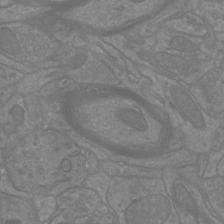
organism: Mouse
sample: Cortical neurons